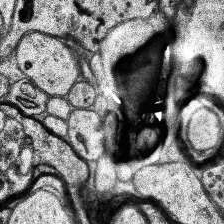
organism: Human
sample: Temporal Lobe